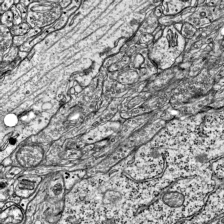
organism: Mouse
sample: Visual Cortex